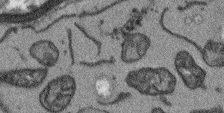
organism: Arabidopsis thaliana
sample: Root tip